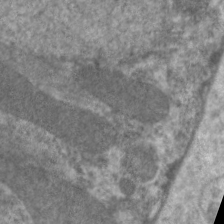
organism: C. elegans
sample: Pharynx